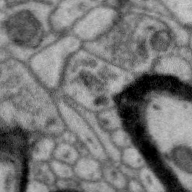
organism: Zebra finch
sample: Brain